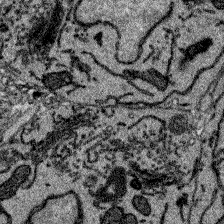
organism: Zebrafish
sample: Larval olfactory bulb